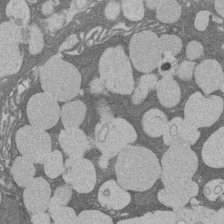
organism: Rat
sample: Salivary granule